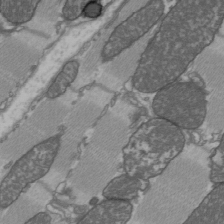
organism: C57BL Mouse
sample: Heart